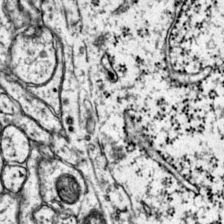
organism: Mouse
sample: Primary visual cortex